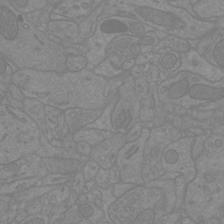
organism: Mouse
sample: Cortical neurons